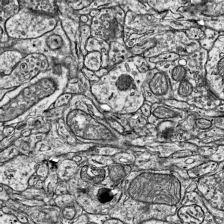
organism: Mouse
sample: Visual Cortex